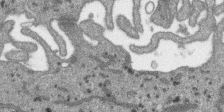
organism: Human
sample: Lung epithelial cells infected with SARS-CoV-2